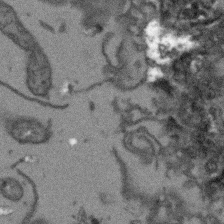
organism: Arabidopsis thaliana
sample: Root tip